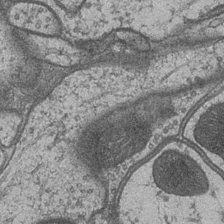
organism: Drosophila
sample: Optic medulla